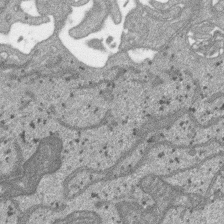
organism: Human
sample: Lung epithelial cells infected with SARS-CoV-2